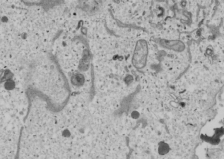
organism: Human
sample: Mitochondria in U2OS cells